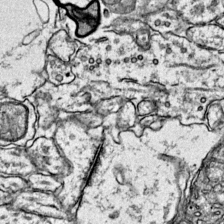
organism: Mouse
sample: Primary visual cortex